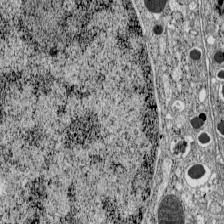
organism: C57BL Mouse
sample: Pancreatic islet